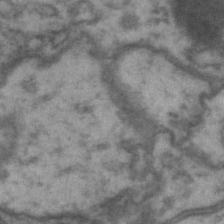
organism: Drosophila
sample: Brain